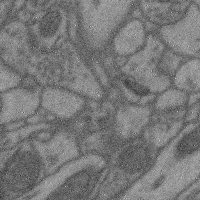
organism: Mouse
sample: Cerebral cortex